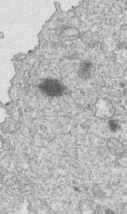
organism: Human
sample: HeLa cell HIV synapse